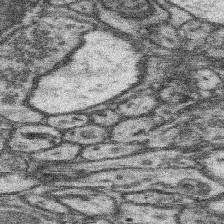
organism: Mouse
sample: Somatosensory cortex neuropil